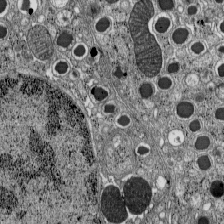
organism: C57BL Mouse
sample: Pancreatic islet